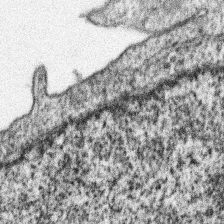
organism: Human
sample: HeLa cells